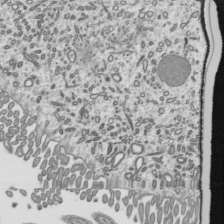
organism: Mouse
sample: Mouse epididymis efferent ductule cilia